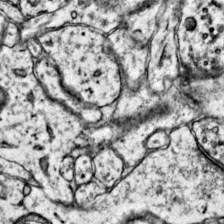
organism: Mouse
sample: Primary visual cortex